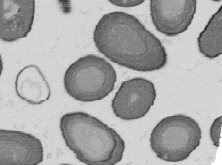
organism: B. subtilis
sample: Bacterial spore